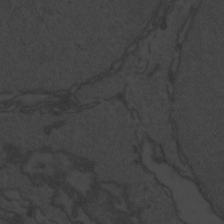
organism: Zebrafish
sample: Macrophage infected with Toxoplasma gondii